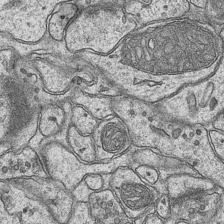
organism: Mouse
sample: CA1 Hippocampus